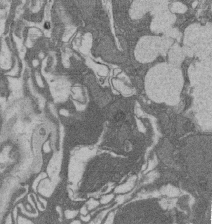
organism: Rat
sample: Salivary granule